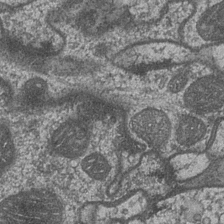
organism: Drosophila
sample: Optic medulla